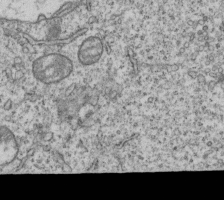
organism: Human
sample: MDA-MB-231 cells